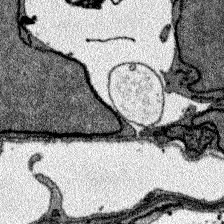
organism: Zebrafish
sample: Larval olfactory bulb